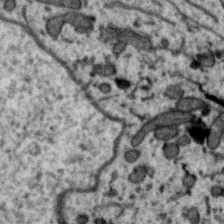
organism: Zebra finch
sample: Brain